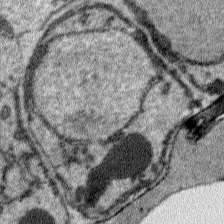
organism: Plasmodium falciparum